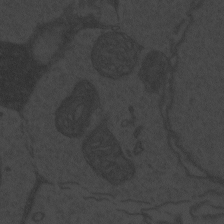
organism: Zebrafish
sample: Macrophage infected with Toxoplasma gondii